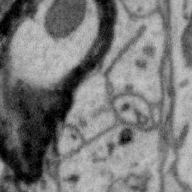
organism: Zebra finch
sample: Brain